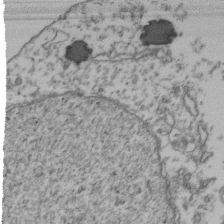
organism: Human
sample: Activated Jurkat CD4+ T cells